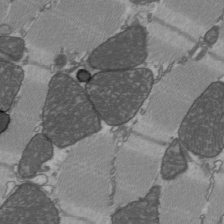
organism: C57BL Mouse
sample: Heart